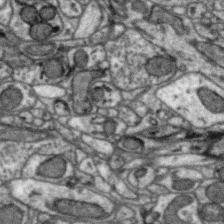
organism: Zebra finch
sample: Brain